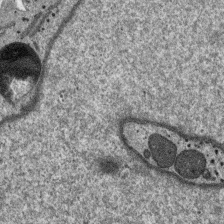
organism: Human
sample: Lung epithelial cells, uninfected (mock) control